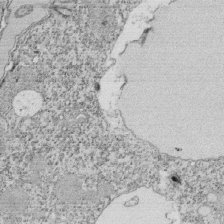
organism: Tetrahymena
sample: Cilia in tetrahymena